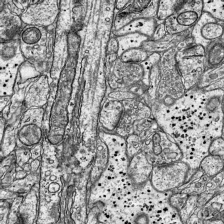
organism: Mouse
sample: Visual Cortex